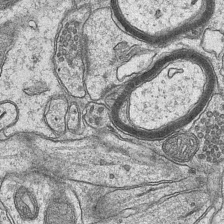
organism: Mouse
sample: CA1 Hippocampus